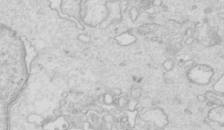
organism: Mouse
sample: Multiciliated cells